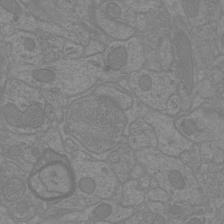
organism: Mouse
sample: Cortical neurons